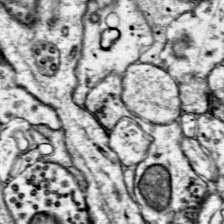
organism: Mouse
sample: Primary visual cortex